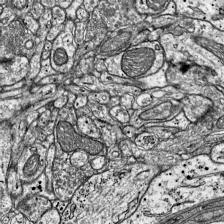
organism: Mouse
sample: Visual Cortex